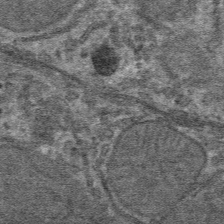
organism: Mouse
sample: Mouse hepatocytes